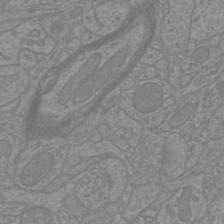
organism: Mouse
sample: Cortical neurons